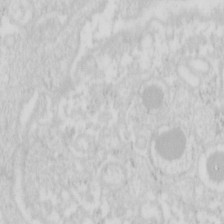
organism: Mouse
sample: Pancreas